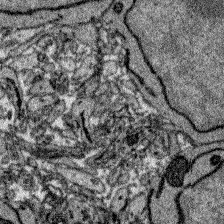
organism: Zebrafish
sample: Larval olfactory bulb